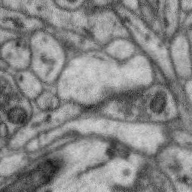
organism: Zebra finch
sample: Brain